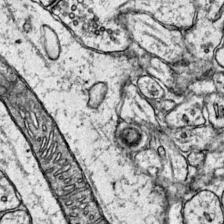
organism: Mouse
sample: Primary visual cortex